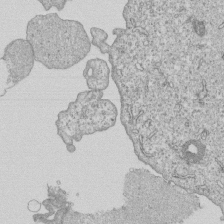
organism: Human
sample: MDA-MB-231 cells